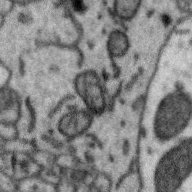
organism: Zebra finch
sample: Brain